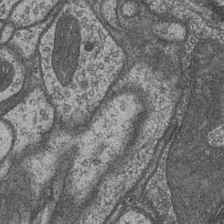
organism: Drosophila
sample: Optic medulla